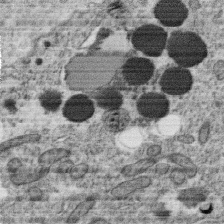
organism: C. elegans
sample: C. elegans oocyte; sperm cells